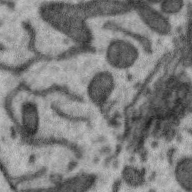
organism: Zebra finch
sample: Brain